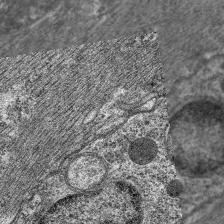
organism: C. elegans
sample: Pharynx